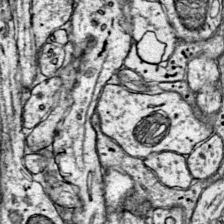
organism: Mouse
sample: Primary visual cortex